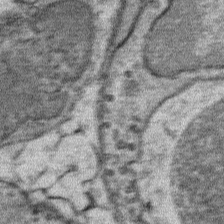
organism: Mouse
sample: Mouse Salivary gland